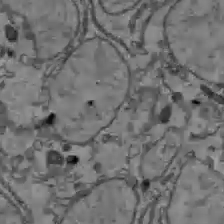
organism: C57BL Mouse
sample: Liver